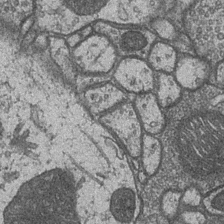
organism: Drosophila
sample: Optic medulla